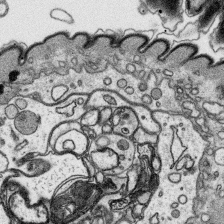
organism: Platynereis dumerilii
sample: Parapodia